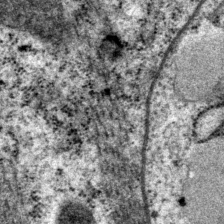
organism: P. pacificus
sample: Pharynx